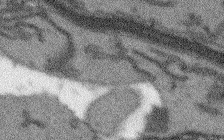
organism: Arabidopsis thaliana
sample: Root tip